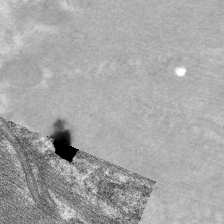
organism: C. elegans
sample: Pharynx